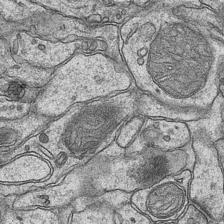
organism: Mouse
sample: CA1 Hippocampus